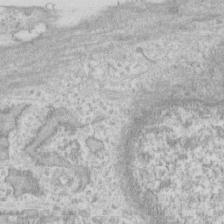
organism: Human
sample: Fibroblast cells